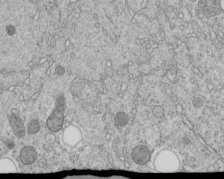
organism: C. elegans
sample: C. elegans embryo early stage